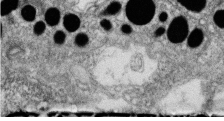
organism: Zebrafish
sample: Cilia; retinal pigment epithelium